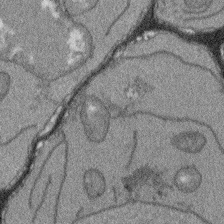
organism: Arabidopsis thaliana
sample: Root tip